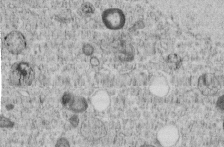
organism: C. elegans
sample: C. elegans embryo early stage